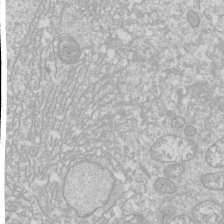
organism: Drosophila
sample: Cell division; meiosis; drosophila spermatocytes